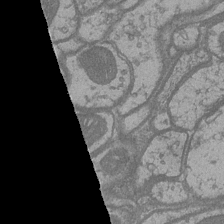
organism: Drosophila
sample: Optic medulla